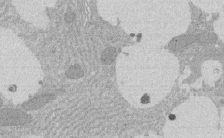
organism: Rat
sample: Salivary granule